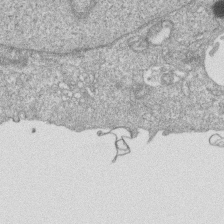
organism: Human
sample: HeLa cell HIV synapse